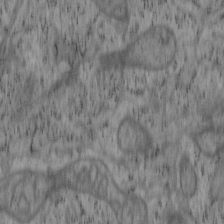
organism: Human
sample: HeLa cells